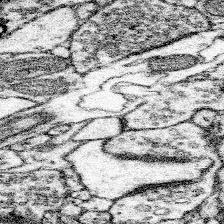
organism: Mouse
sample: Somatosensory cortex neuropil